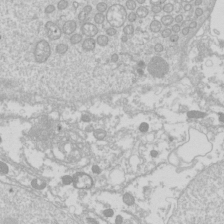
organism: Drosophila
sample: Cell division; meiosis; drosophila spermatocytes